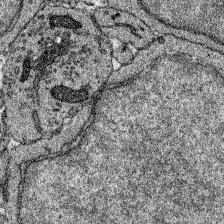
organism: Zebrafish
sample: Larval olfactory bulb